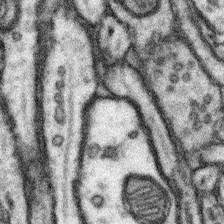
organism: Mouse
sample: Somatosensory cortex neuropil